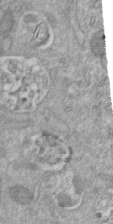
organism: Mouse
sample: ED-1 cell nuclei; centrioles